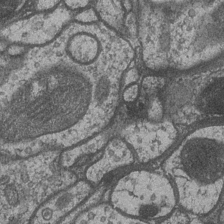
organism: Drosophila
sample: Optic medulla